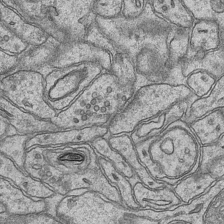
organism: Mouse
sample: CA1 Hippocampus